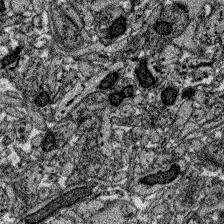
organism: Zebrafish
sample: Larval olfactory bulb